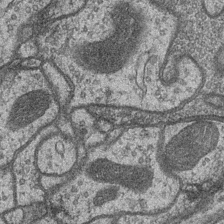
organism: Drosophila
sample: Optic medulla